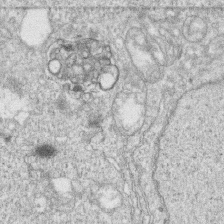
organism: Human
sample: HeLa cell HIV synapse